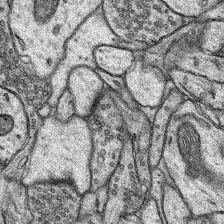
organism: Rat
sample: Hippocampus